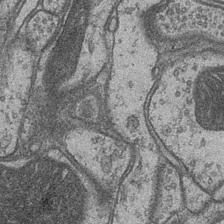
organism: Drosophila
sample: Optic medulla